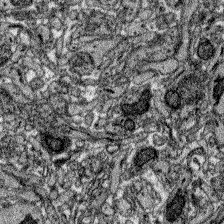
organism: Zebrafish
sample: Larval olfactory bulb